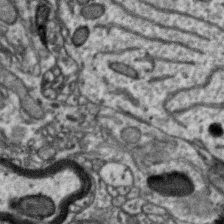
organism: Zebra finch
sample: Brain